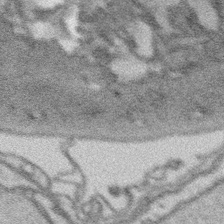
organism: Platynereis dumerilii